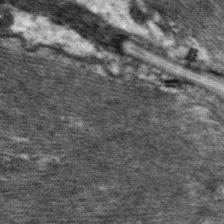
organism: C. elegans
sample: Pharynx